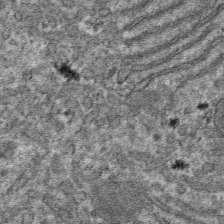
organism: Mouse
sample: Mouse hepatocytes